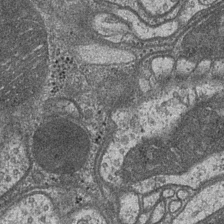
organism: Drosophila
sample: Optic medulla